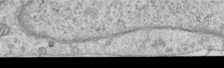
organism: Human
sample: Centriole in RPE cells